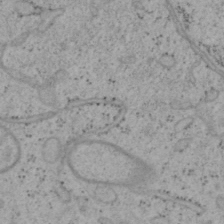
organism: Human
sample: HeLa cells